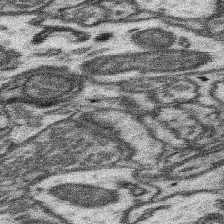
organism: Mouse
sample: Somatosensory cortex neuropil